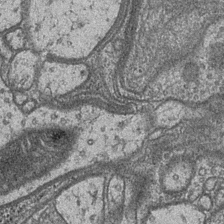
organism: Drosophila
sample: Optic medulla